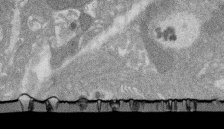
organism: Rat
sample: Salivary granule